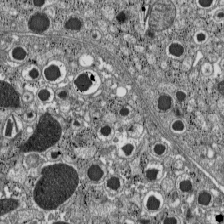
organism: C57BL Mouse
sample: Pancreatic islet